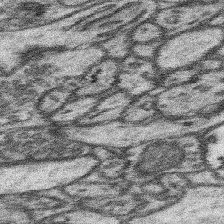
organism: Mouse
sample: Somatosensory cortex neuropil